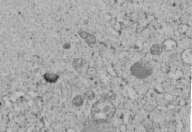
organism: C. elegans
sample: C. elegans embryo early stage